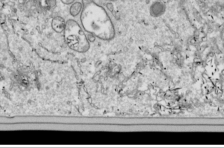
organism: Drosophila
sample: Cell division; meiosis; drosophila spermatocytes